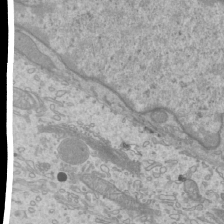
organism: Mouse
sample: Cilia; mouse epididymis